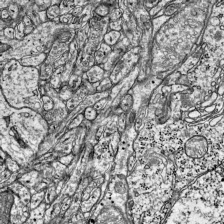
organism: Mouse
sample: Visual Cortex